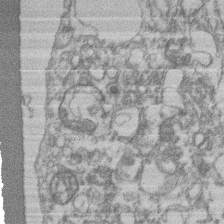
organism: Mouse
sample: T cell stromal cell synapse